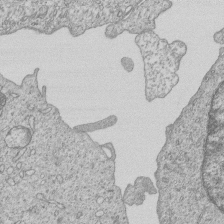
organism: Human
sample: MDA-MB-231 cells